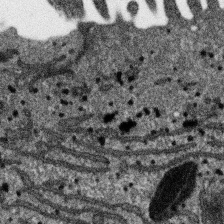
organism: Human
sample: Lung epithelial cells infected with SARS-CoV-2